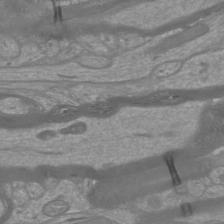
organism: Mouse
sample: Cortical neurons